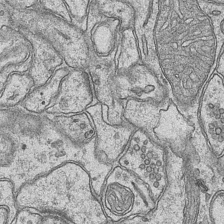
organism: Mouse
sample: CA1 Hippocampus